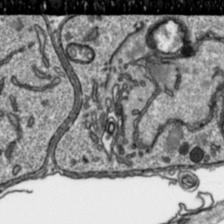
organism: Toxoplasma gondii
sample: Parasites in a vacuole inside a host cell